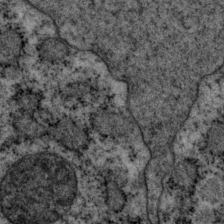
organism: P. pacificus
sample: Pharynx